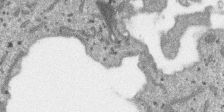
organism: Human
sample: Lung epithelial cells infected with SARS-CoV-2